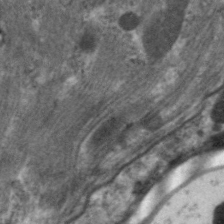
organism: C. elegans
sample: Pharynx